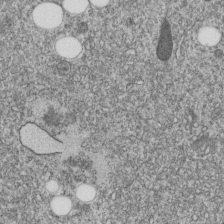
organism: C. elegans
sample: C. elegans embryo early stage